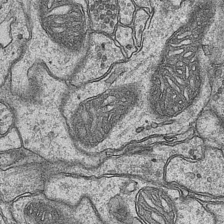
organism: Mouse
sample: CA1 Hippocampus